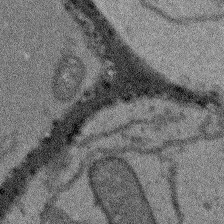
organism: Arabidopsis thaliana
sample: Root tip